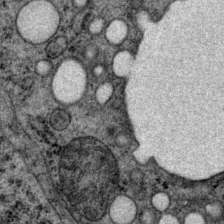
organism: P. pacificus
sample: Pharynx